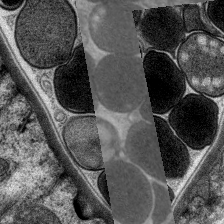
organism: C. elegans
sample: Pharynx